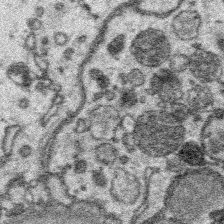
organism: Platynereis dumerilii